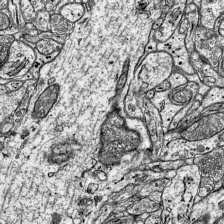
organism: Mouse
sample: Visual Cortex